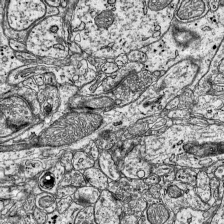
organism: Mouse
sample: Visual Cortex